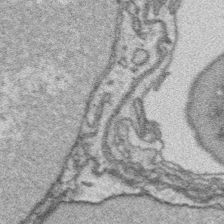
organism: Platynereis dumerilii